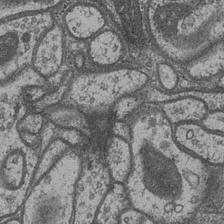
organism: Drosophila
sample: Optic medulla